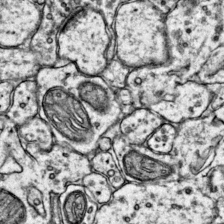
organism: Mouse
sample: Primary visual cortex